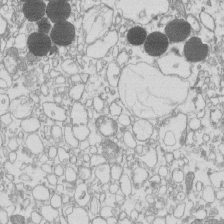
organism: Mouse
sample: Macrophages